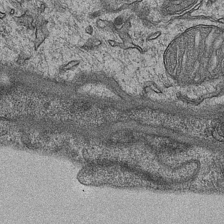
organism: Mouse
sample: CA1 Hippocampus